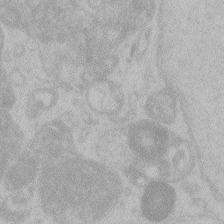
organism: Zebrafish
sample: Macrophage infected with Toxoplasma gondii